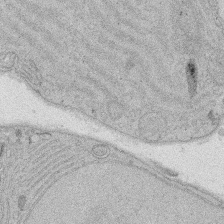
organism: Rat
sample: Salivary granule